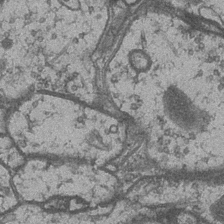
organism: Drosophila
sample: Optic medulla